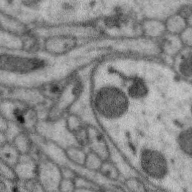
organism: Zebra finch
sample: Brain